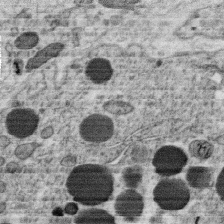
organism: C. elegans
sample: C. elegans oocyte; sperm cells